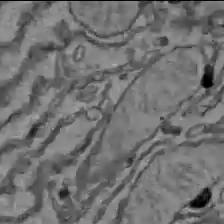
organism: C57BL Mouse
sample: Liver